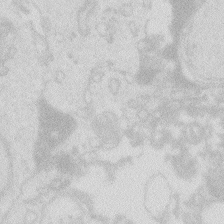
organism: Zebrafish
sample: Macrophage